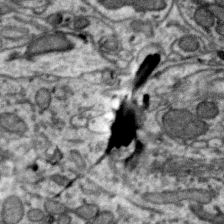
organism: Zebra finch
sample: Brain